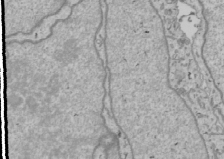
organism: Human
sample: Mitochondria in U2OS cells